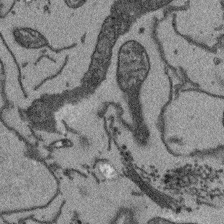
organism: Arabidopsis thaliana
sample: Root tip